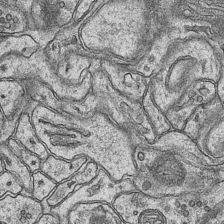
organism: Mouse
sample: CA1 Hippocampus